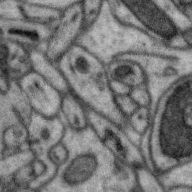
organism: Zebra finch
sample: Brain